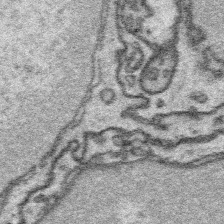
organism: Platynereis dumerilii